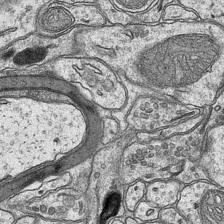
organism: Mouse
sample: CA1 Hippocampus